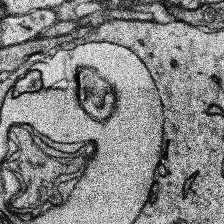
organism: Human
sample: Temporal Lobe